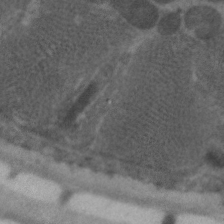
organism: C. elegans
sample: Pharynx